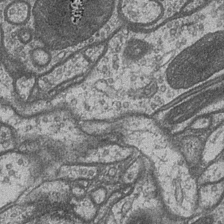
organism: Drosophila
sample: Optic medulla